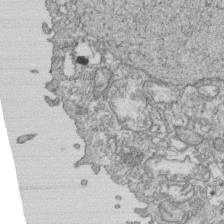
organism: Human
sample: HeLa cell HIV synapse